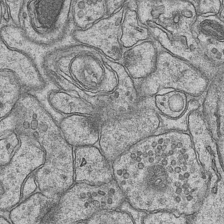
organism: Mouse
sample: CA1 Hippocampus